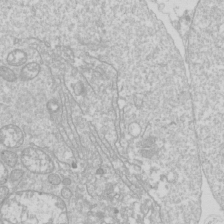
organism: Drosophila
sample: Cell division; meiosis; drosophila spermatocytes